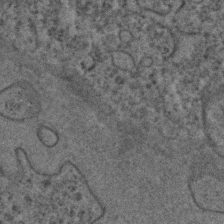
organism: C. elegans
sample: C. elegans embryo